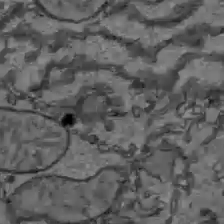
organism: C57BL Mouse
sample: Liver